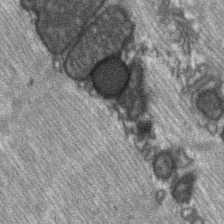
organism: C57BL Mouse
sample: Soleus